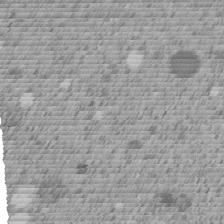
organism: C. elegans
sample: C. elegans embryo early stage